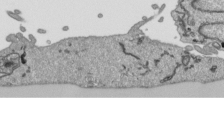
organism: Human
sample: Mitochondria in HCT116 cells